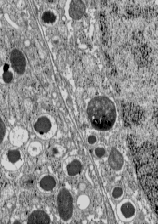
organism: C57BL Mouse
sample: Pancreatic islet